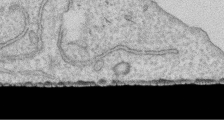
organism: Human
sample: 1205lu cells